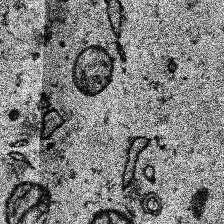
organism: Human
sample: Temporal Lobe